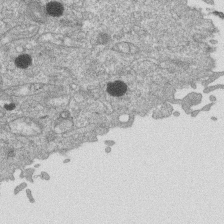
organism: Human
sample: HeLa cell HIV synapse